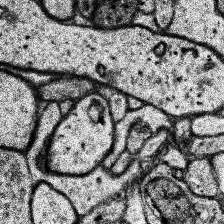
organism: Human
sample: Temporal Lobe